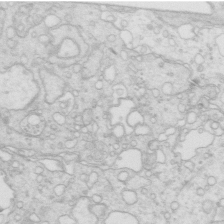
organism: Mouse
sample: Multiciliated cells